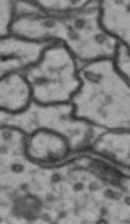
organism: Drosophila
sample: Brain